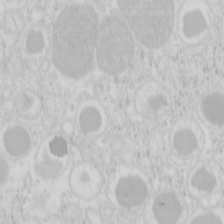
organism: Mouse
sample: Pancreas